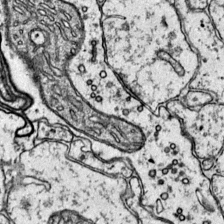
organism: Mouse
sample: Primary visual cortex